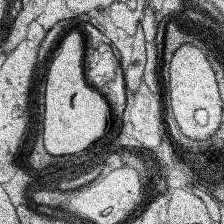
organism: Human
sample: Temporal Lobe